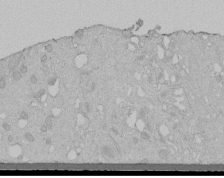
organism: Human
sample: Melanocyte Keratinocyte synapse skin construct